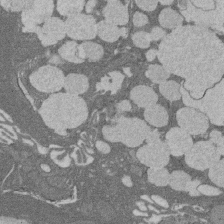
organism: Rat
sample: Salivary granule